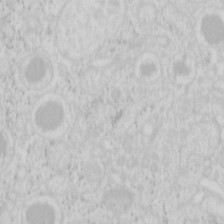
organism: Mouse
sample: Pancreas